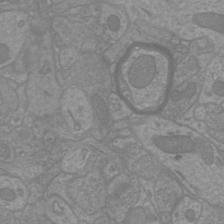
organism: Mouse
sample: Cortical neurons